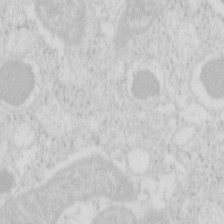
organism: Mouse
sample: Pancreas